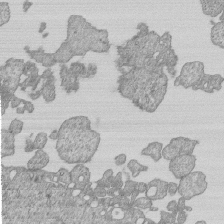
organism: Human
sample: MDA-MB-231 cells